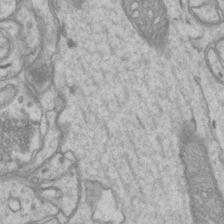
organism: Mouse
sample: CA1 Hippocampus